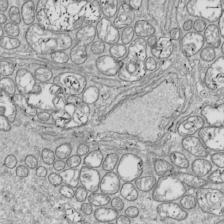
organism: Drosophila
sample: Cell division; meiosis; drosophila spermatocytes